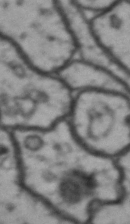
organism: Drosophila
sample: Brain